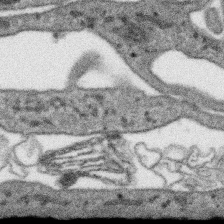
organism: Human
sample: Lung epithelial cells infected with SARS-CoV-2